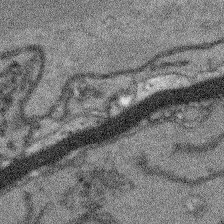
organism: Arabidopsis thaliana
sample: Root tip